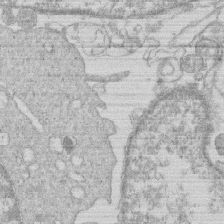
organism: Human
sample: Macrophage cells